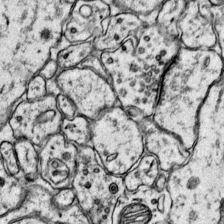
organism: Mouse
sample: Primary visual cortex